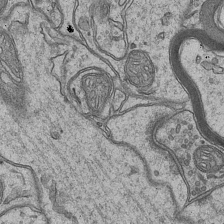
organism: Mouse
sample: CA1 Hippocampus